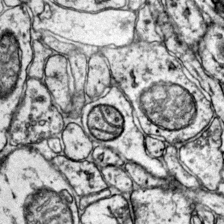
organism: Mouse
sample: Primary visual cortex